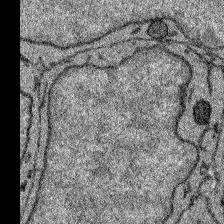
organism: Zebrafish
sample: Larval olfactory bulb